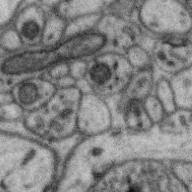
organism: Zebra finch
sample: Brain